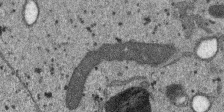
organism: Human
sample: Lung epithelial cells infected with SARS-CoV-2